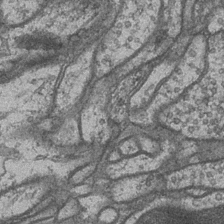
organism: Drosophila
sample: Optic medulla